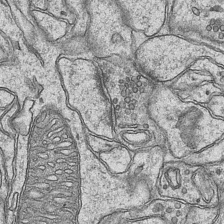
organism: Mouse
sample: CA1 Hippocampus